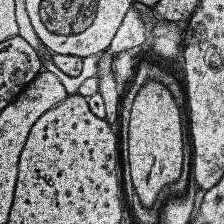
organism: Human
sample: Temporal Lobe